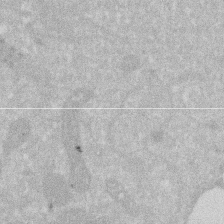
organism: Human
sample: HIV infected U937 cells